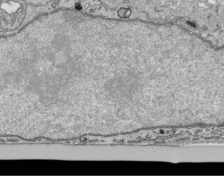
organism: Human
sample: Mitochondria in HCT116 cells